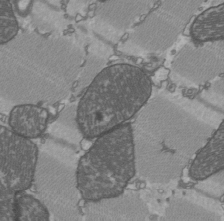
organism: C57BL Mouse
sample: Heart